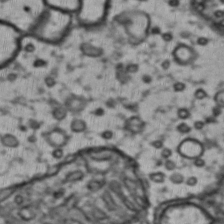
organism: Drosophila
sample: Brain